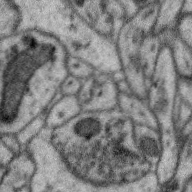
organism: Zebra finch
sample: Brain